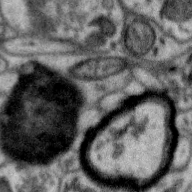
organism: Zebra finch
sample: Brain